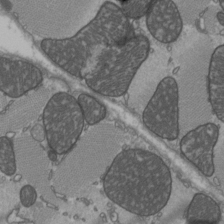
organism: C57BL Mouse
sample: Heart